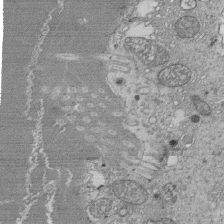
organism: Tetrahymena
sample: Cilia in tetrahymena